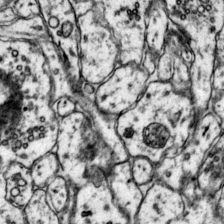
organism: Mouse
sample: Primary visual cortex